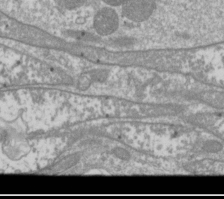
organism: Drosophila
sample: Cell division; meiosis; drosophila spermatocytes